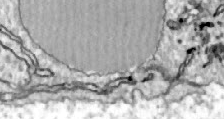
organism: Zebrafish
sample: Actinotrichia fibers